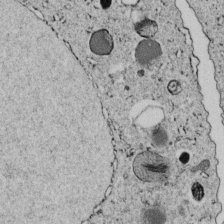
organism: C. elegans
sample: C. elegans embryo early stage